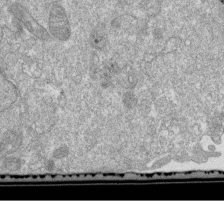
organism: Human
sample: HeLa cell HIV synapse